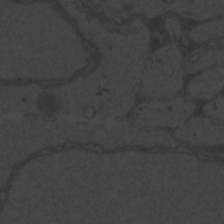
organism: Zebrafish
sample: Macrophage infected with Toxoplasma gondii